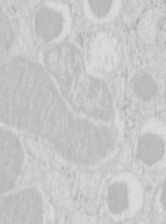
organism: Mouse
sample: Pancreas